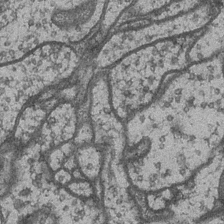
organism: Drosophila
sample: Optic medulla